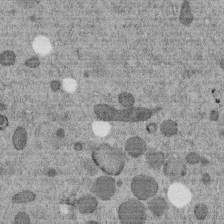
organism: C. elegans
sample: C. elegans embryo early stage